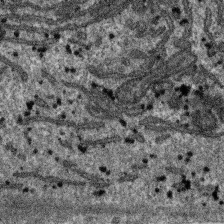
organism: Human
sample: Lung epithelial cells infected with SARS-CoV-2